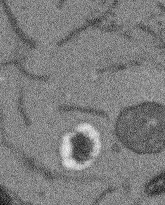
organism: Arabidopsis thaliana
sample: Root tip